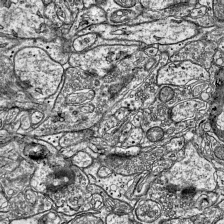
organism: Mouse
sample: Visual Cortex